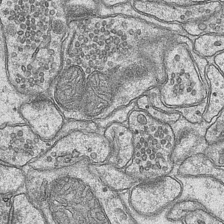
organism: Mouse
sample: CA1 Hippocampus